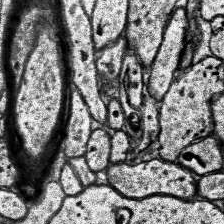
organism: Human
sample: Temporal Lobe